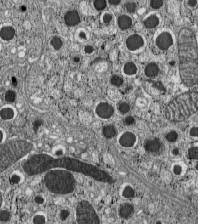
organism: C57BL Mouse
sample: Pancreatic islet